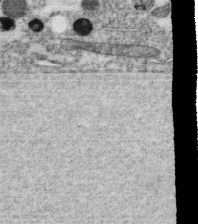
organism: C. elegans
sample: C. elegans oocyte; sperm cells